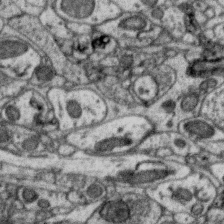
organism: Zebra finch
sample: Brain